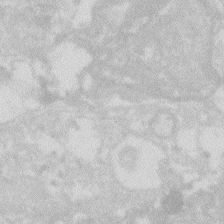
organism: Zebrafish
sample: Macrophage